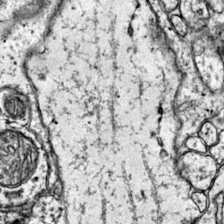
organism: Mouse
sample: Primary visual cortex